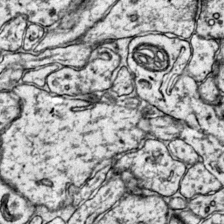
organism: Mouse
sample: Primary visual cortex